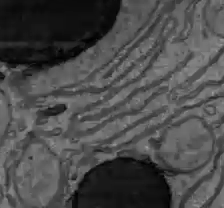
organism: C57BL Mouse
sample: Liver